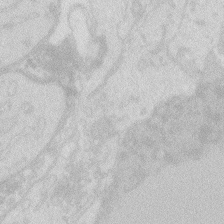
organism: Zebrafish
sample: Macrophage